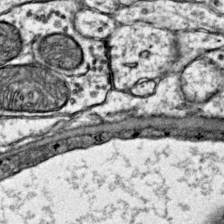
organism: Mouse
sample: Primary visual cortex